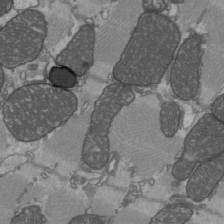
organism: C57BL Mouse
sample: Heart